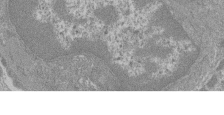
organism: Mouse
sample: Glomerulus